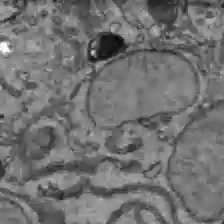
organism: C57BL Mouse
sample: Liver